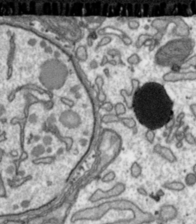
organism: Toxoplasma gondii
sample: Parasites in a vacuole inside a host cell